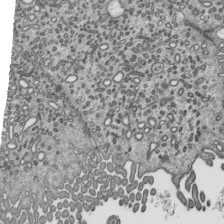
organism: Mouse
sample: Mouse epididymis efferent ductule cilia